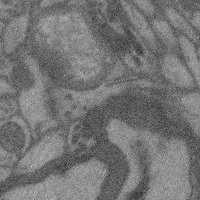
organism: Mouse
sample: Cerebral cortex